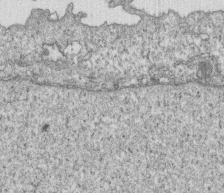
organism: Human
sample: HeLa cell HIV synapse